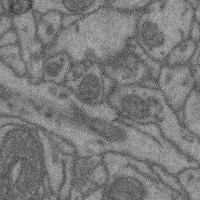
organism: Mouse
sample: Cerebral cortex